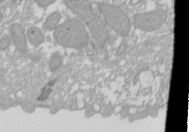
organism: Xenopus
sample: Cilia; centrioles in frog embryo cells